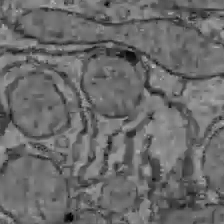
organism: C57BL Mouse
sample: Liver